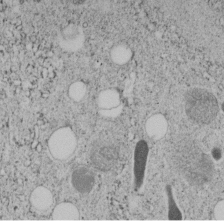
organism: C. elegans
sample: C. elegans embryo early stage